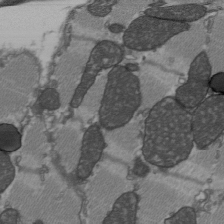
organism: C57BL Mouse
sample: Heart